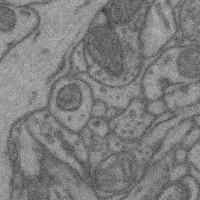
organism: Mouse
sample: Cerebral cortex